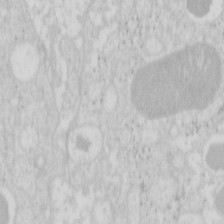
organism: Mouse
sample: Pancreas